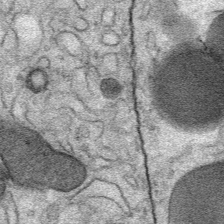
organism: Mouse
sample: Mouse Salivary gland